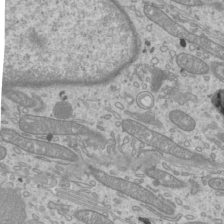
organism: Mouse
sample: Cilia; mouse epididymis